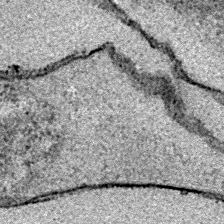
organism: E. coli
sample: E. Coli Bacteria